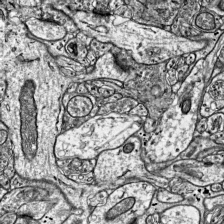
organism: Mouse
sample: Visual Cortex